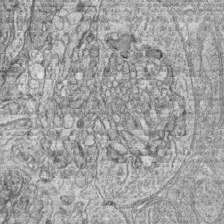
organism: Zebrafish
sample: synaptic ribbons in rod cells and cone cells